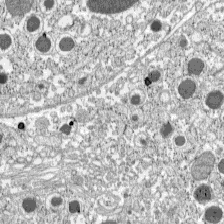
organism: C57BL Mouse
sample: Pancreatic islet